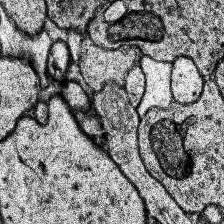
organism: Human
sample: Temporal Lobe